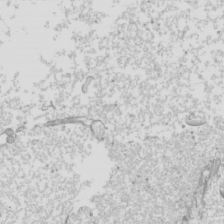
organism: Mouse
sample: Cilia; mouse epididymis